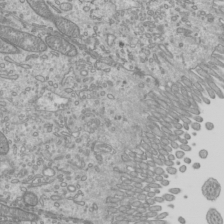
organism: Mouse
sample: Cilia; mouse epididymis